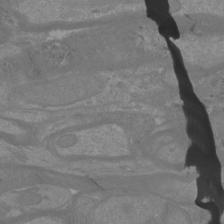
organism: Mouse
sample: Cortical neurons